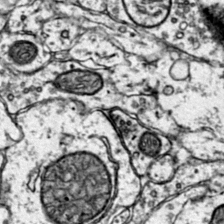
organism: Mouse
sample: Primary visual cortex